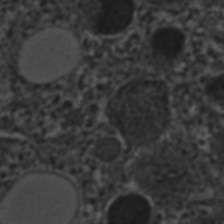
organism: C. elegans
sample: C. elegans embryo